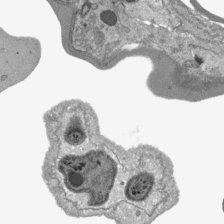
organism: Plasmodium falciparum